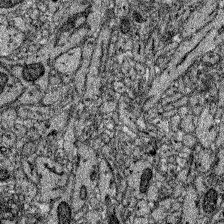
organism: Zebrafish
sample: Larval olfactory bulb